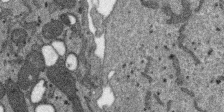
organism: Human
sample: Lung epithelial cells infected with SARS-CoV-2